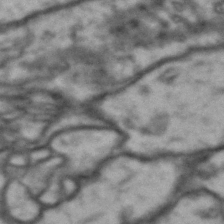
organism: Drosophila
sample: Brain